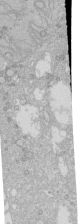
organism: Human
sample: Caco-2 cells